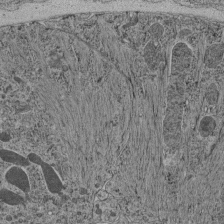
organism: C. elegans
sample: C. elegans pharynx